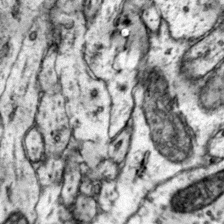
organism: Mouse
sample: Primary visual cortex